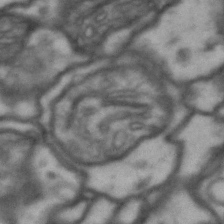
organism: Drosophila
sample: Brain